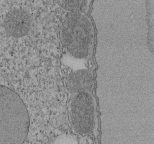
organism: Tetrahymena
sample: Cilia in tetrahymena